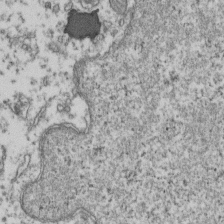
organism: Human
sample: Activated Jurkat CD4+ T cells